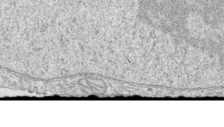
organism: Human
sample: HeLa cell HIV synapse